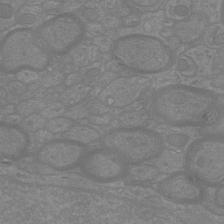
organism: Mouse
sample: Cortical neurons